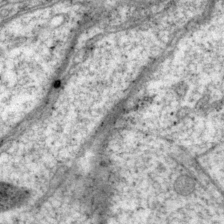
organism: P. pacificus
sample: Pharynx